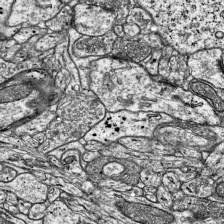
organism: Mouse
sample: Visual Cortex